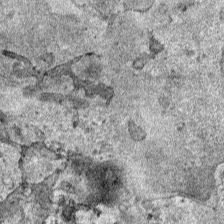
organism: Human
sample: Mitochondria in HCT116 cells